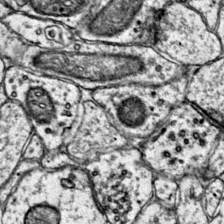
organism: Mouse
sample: Primary visual cortex